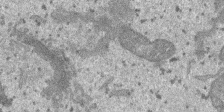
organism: Human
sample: Lung epithelial cells infected with SARS-CoV-2